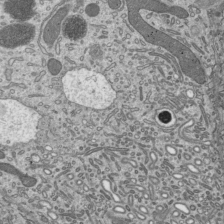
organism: Mouse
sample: Mouse epididymis efferent ductule cilia